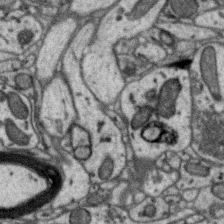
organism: Zebra finch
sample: Brain